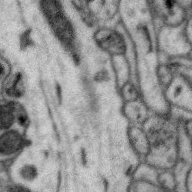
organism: Zebra finch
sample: Brain